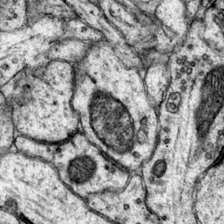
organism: Mouse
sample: Primary visual cortex